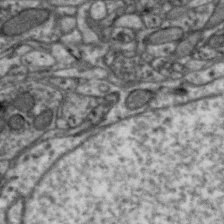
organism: Zebra finch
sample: Brain